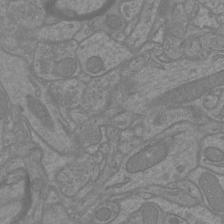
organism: Mouse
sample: Cortical neurons